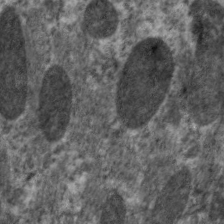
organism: C. elegans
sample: Pharynx